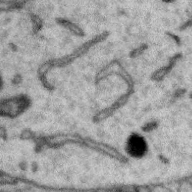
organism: Zebra finch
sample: Brain